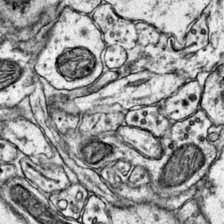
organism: Mouse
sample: Primary visual cortex